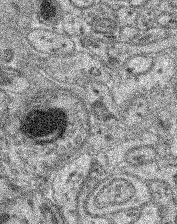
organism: Mouse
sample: Retina